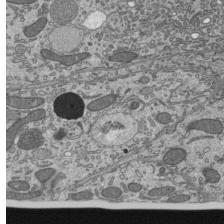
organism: Mouse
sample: Mouse epididymis efferent ductule cilia